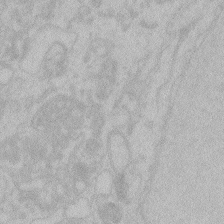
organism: Zebrafish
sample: Macrophage infected with Toxoplasma gondii